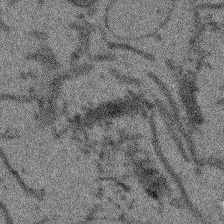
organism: Arabidopsis thaliana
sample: Root tip